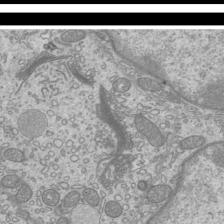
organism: Mouse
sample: Cilia; mouse epididymis